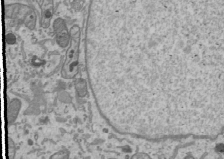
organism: Human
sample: Mitochondria in U2OS cells